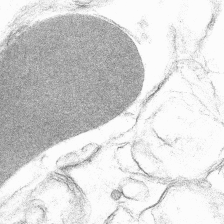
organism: Mouse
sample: Mouse hepatocytes